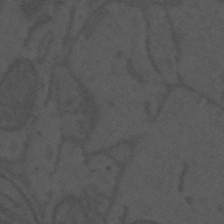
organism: Mouse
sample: Suprachiasmatic nucleus